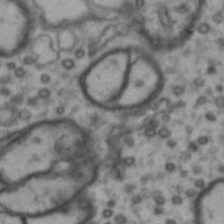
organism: Drosophila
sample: Brain